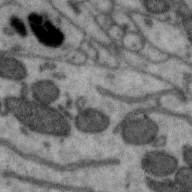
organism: Zebra finch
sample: Brain